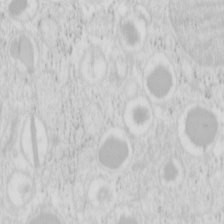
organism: Mouse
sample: Pancreas